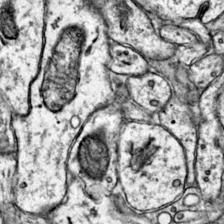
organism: Mouse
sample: Primary visual cortex